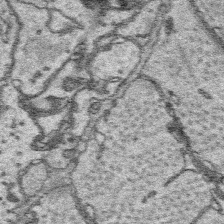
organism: Platynereis dumerilii